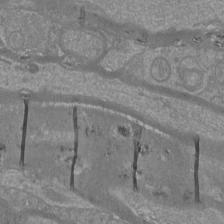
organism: Mouse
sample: Cortical neurons